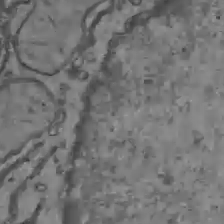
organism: C57BL Mouse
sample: Liver